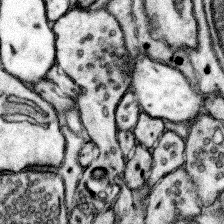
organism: Mouse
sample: Somatosensory cortex neuropil